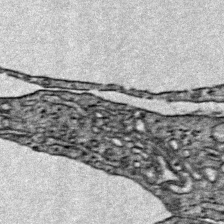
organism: Mouse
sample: Primary visual cortex